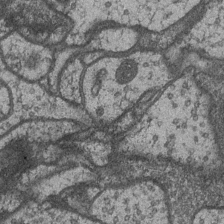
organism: Drosophila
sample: Optic medulla